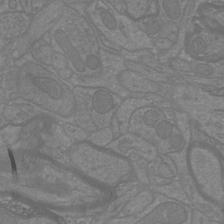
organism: Mouse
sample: Cortical neurons